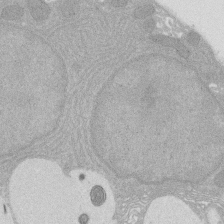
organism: Rat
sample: Salivary granule